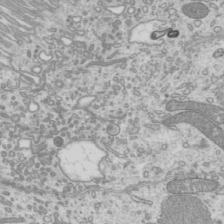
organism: Mouse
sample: Cilia; mouse epididymis